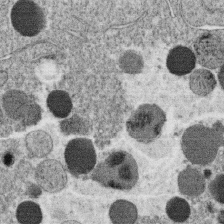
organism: C. elegans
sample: C. elegans oocyte; sperm cells